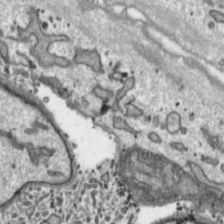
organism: Toxoplasma gondii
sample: Parasites in a vacuole inside a host cell